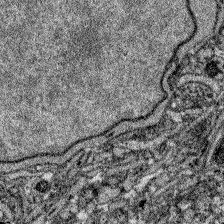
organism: Zebrafish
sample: Larval olfactory bulb